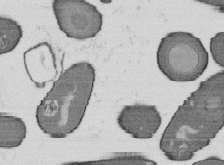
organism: B. subtilis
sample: Bacterial spore